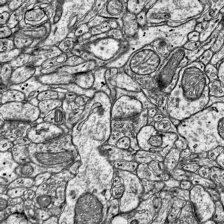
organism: Mouse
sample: Visual Cortex